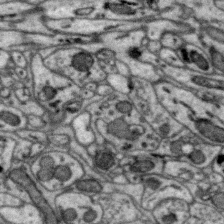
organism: Zebra finch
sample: Brain